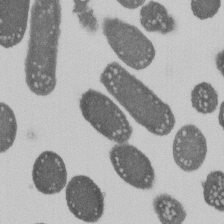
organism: E. coli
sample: Bacterial nucleoid